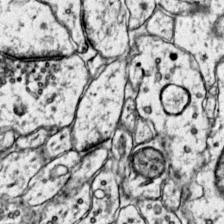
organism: Mouse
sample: Primary visual cortex